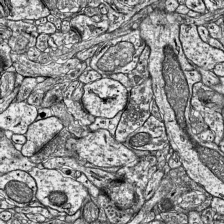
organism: Mouse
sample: Visual Cortex